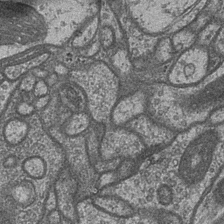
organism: Drosophila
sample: Optic medulla